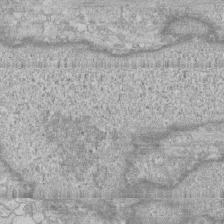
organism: Human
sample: CRL-1474